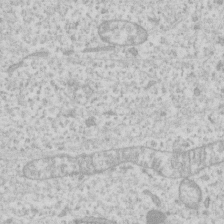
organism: Human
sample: Fibroblast cells